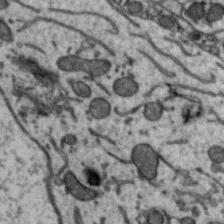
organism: Zebra finch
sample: Brain